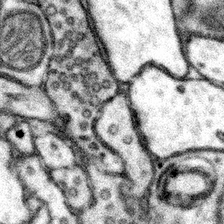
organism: Mouse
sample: Somatosensory cortex neuropil